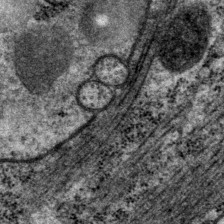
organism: P. pacificus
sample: Pharynx